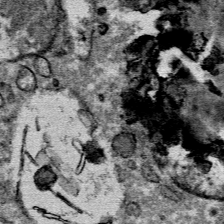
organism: Mouse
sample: Mouse Salivary gland